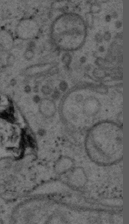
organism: Human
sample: HeLa cells